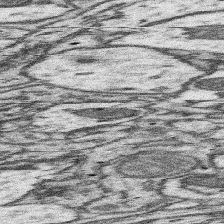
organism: Mouse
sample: Somatosensory cortex neuropil